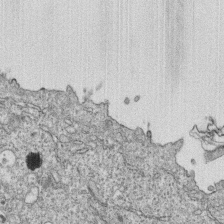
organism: Human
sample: HeLa cell HIV synapse